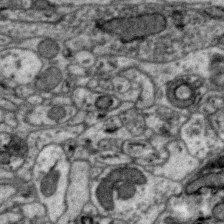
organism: Zebra finch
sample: Brain